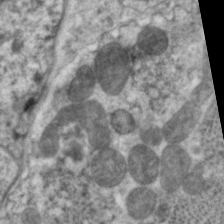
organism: C. elegans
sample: Pharynx